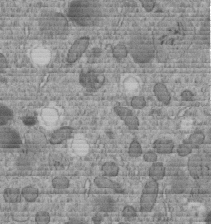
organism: C. elegans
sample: C. elegans embryo early stage